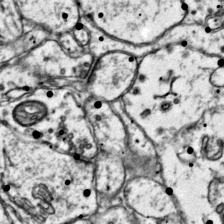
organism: Mouse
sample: Primary visual cortex